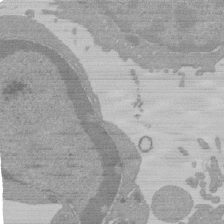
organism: Mouse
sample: Activated Pmel transgenic CD8+ T Cells